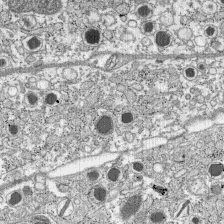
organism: C57BL Mouse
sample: Pancreatic islet